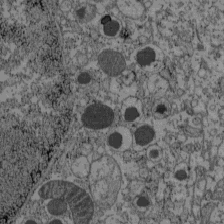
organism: C57BL Mouse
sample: Pancreatic islet